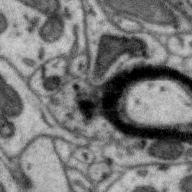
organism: Zebra finch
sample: Brain